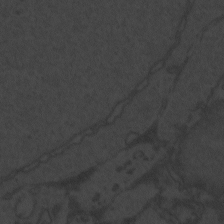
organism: Zebrafish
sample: Macrophage infected with Toxoplasma gondii